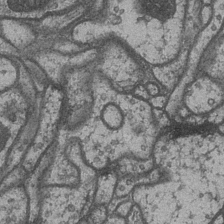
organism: Drosophila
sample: Optic medulla